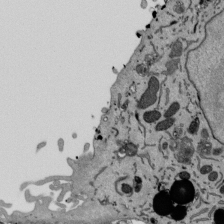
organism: Mouse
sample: ED-1 cell nuclei; centrioles